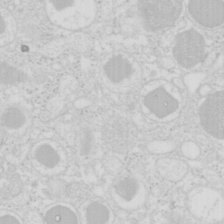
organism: Mouse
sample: Pancreas